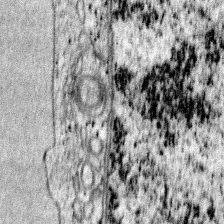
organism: Human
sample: HeLa cells